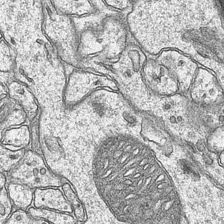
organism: Mouse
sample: CA1 Hippocampus